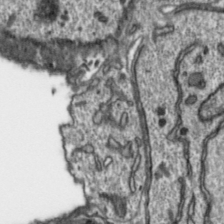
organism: Toxoplasma gondii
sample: Parasites in a vacuole inside a host cell